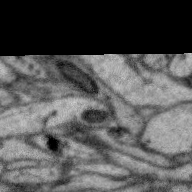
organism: Zebra finch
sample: Brain